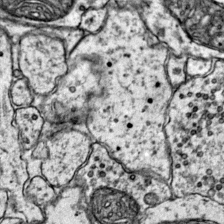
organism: Mouse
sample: Primary visual cortex